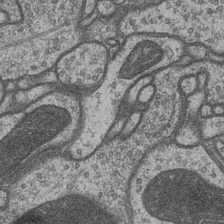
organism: Drosophila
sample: Optic medulla